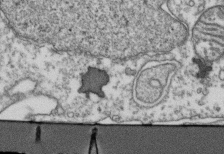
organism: Human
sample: Activated Jurkat CD4+ T cells